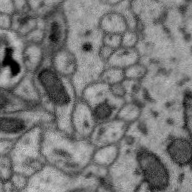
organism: Zebra finch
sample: Brain